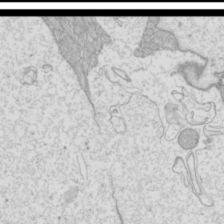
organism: Mouse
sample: Cilia; mouse epididymis